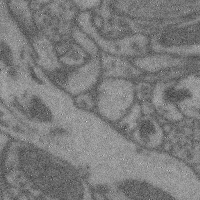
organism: Mouse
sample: Cerebral cortex